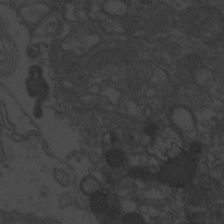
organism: Zebrafish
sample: Macrophage infected with Toxoplasma gondii